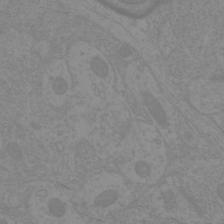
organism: Mouse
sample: Cortical neurons